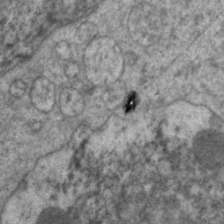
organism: C. elegans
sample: Pharynx